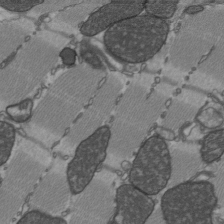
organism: C57BL Mouse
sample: Heart